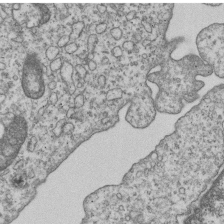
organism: Human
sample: MDA-MB-231 cells